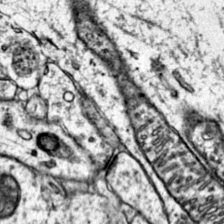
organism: Mouse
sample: Primary visual cortex